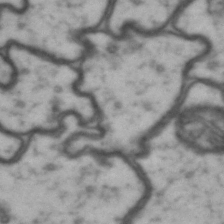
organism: Drosophila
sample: Brain